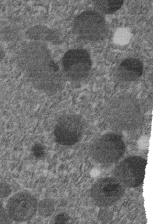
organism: C. elegans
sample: C. elegans embryo early stage